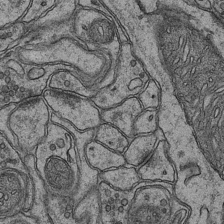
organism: Mouse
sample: CA1 Hippocampus